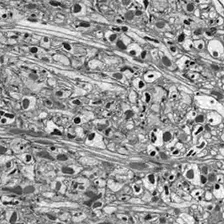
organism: Drosophila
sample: Optic lobe